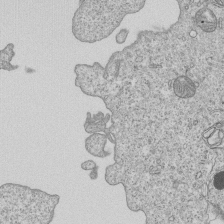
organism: Human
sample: MDA-MB-231 cells